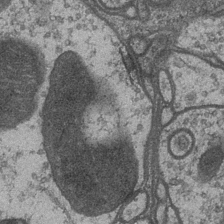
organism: Drosophila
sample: Optic medulla